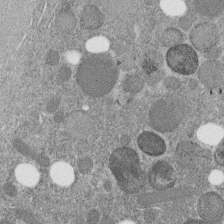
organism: C. elegans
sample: C. elegans embryo early stage